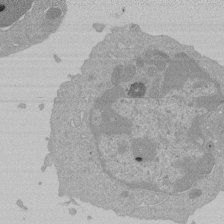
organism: Mouse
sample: Activated Pmel transgenic CD8+ T Cells